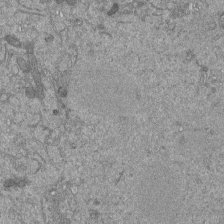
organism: Mouse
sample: ED-1 cell nuclei; centrioles